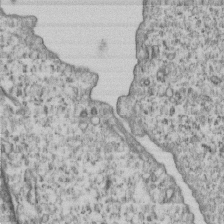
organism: Human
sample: MDA-MB-231 cells